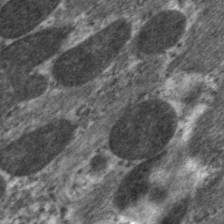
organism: C. elegans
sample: Pharynx